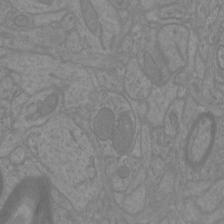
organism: Mouse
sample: Cortical neurons